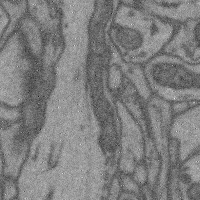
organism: Mouse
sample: Cerebral cortex